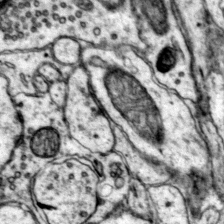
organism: Mouse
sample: Primary visual cortex